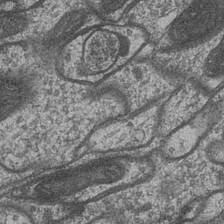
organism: Drosophila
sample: Optic medulla